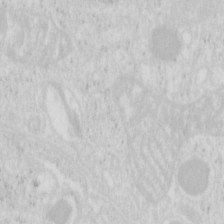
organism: Mouse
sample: Pancreas